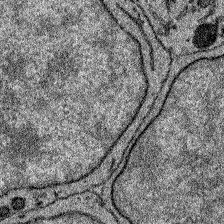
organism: Zebrafish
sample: Larval olfactory bulb